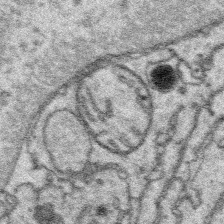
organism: Platynereis dumerilii